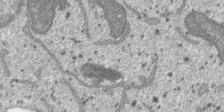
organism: Human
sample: Lung epithelial cells infected with SARS-CoV-2